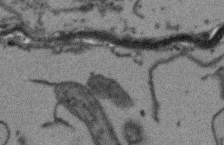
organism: Arabidopsis thaliana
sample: Root tip